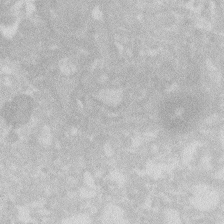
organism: Zebrafish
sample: Macrophage